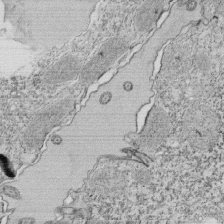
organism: Tetrahymena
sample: Cilia in tetrahymena